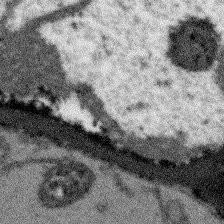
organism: Arabidopsis thaliana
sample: Root tip